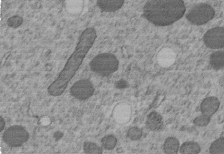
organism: C. elegans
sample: C. elegans embryo early stage